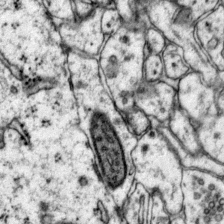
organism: Mouse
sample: Primary visual cortex